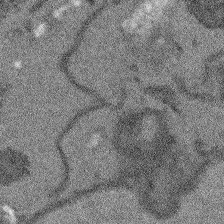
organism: Arabidopsis thaliana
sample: Root tip